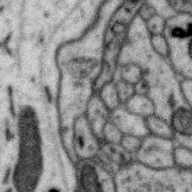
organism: Zebra finch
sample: Brain